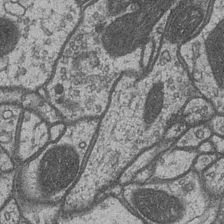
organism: Drosophila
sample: Optic medulla